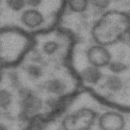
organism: Drosophila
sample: Brain